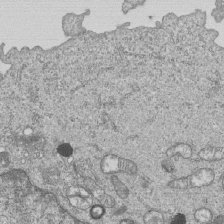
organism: Human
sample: MDA-MB-231 cells